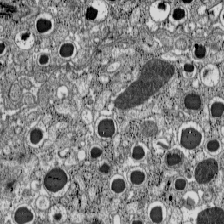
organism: C57BL Mouse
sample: Pancreatic islet